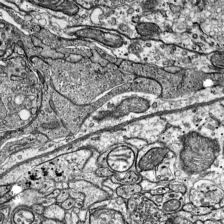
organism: Mouse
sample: Visual Cortex